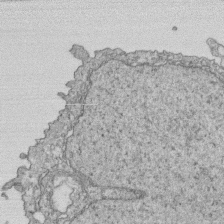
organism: Human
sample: HeLa cell HIV synapse